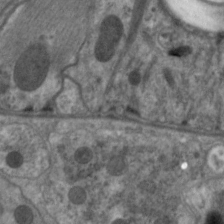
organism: C. elegans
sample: Pharynx